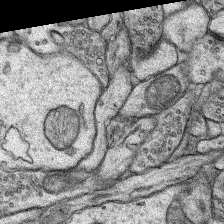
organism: Rat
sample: Hippocampus